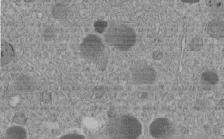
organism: C. elegans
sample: C. elegans embryo early stage